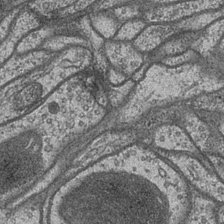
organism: Drosophila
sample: Optic medulla